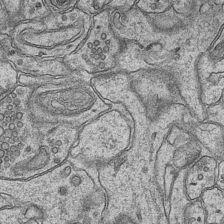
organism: Mouse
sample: CA1 Hippocampus